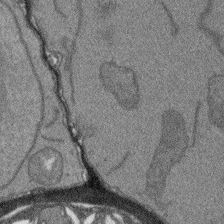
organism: Arabidopsis thaliana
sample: Root tip